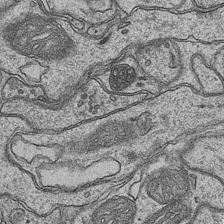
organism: Mouse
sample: CA1 Hippocampus